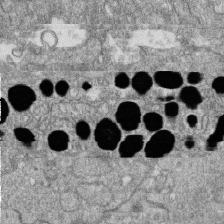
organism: Zebrafish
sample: Cilia; retinal pigment epithelium